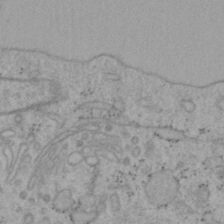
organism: Human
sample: HeLa cells